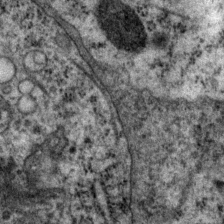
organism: P. pacificus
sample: Pharynx